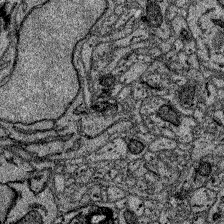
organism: Zebrafish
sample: Larval olfactory bulb